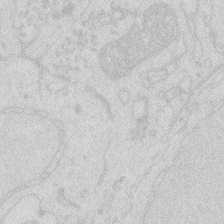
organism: Zebrafish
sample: Macrophage